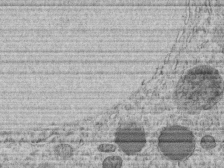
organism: C. elegans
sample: C. elegans embryo early stage